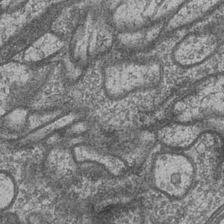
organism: Drosophila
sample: Optic medulla